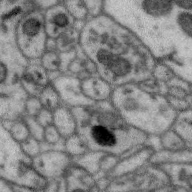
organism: Zebra finch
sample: Brain